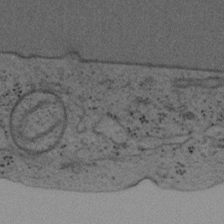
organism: Human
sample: HeLa cells